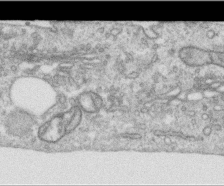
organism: Human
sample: Centriole in RPE cells